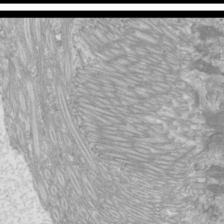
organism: Mouse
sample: Cilia; mouse epididymis